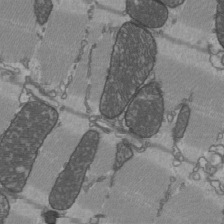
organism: C57BL Mouse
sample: Heart